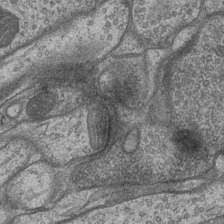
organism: Drosophila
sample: Optic medulla